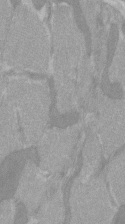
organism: C57BL Mouse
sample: Tibialis anterior muscle cell